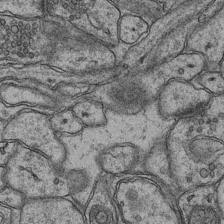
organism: Mouse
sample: CA1 Hippocampus